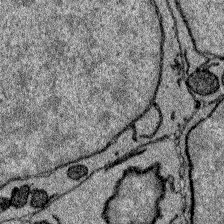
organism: Zebrafish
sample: Larval olfactory bulb